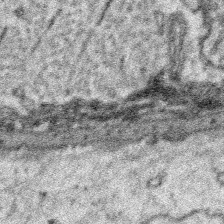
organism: Platynereis dumerilii